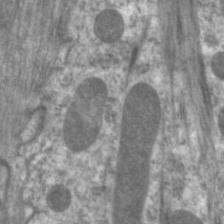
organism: C. elegans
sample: Pharynx